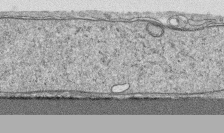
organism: Human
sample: CRL-1474